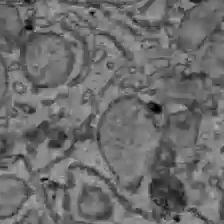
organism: C57BL Mouse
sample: Liver